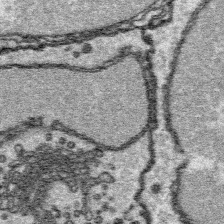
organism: Platynereis dumerilii